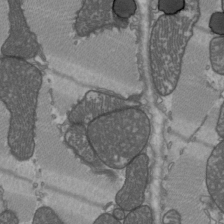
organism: C57BL Mouse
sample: Heart